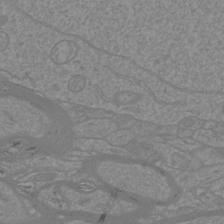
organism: Mouse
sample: Cortical neurons